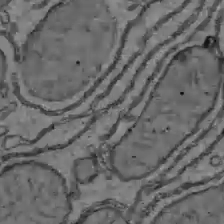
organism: C57BL Mouse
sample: Liver